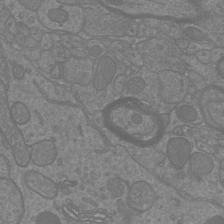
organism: Mouse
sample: Cortical neurons